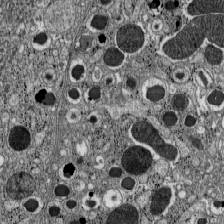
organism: C57BL Mouse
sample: Pancreatic islet